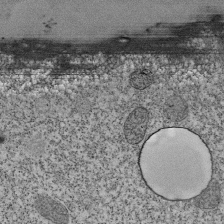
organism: Tetrahymena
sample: Cilia in tetrahymena